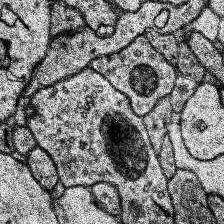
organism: Human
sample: Temporal Lobe